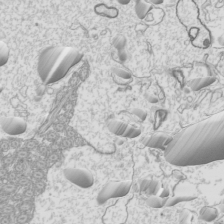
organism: Mouse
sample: Cilia; mouse epididymis